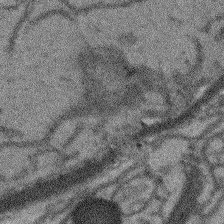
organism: Arabidopsis thaliana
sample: Root tip